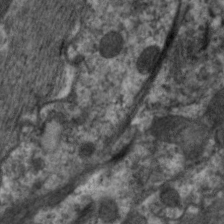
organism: C. elegans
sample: Pharynx